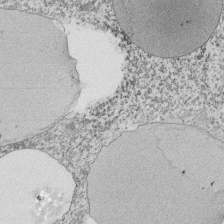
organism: Tetrahymena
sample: Cilia in tetrahymena